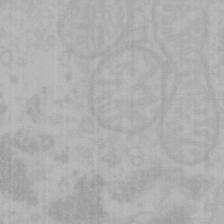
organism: Mouse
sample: Choroid plexus